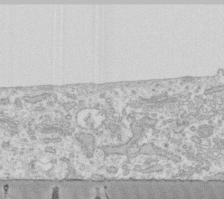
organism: Human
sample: Fibroblast cells